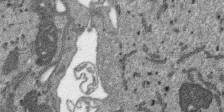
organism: Human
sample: Lung epithelial cells infected with SARS-CoV-2